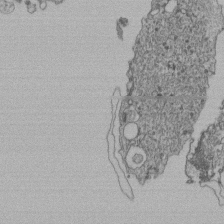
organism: Human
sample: Retinal organoid Rod and Cone cells